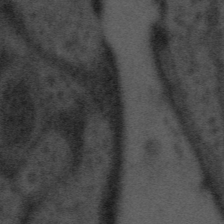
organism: Tuwongella immobilis